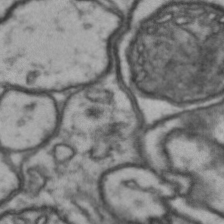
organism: Drosophila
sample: Brain